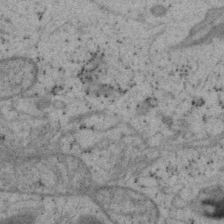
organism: Human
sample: HeLa cells